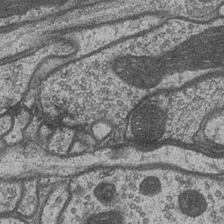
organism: Drosophila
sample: Optic medulla